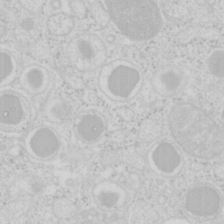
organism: Mouse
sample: Pancreas